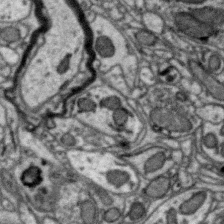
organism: Zebra finch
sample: Brain